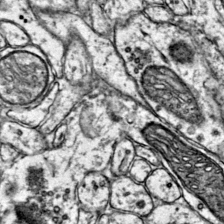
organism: Mouse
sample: Primary visual cortex